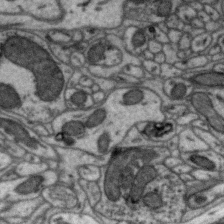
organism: Zebra finch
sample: Brain